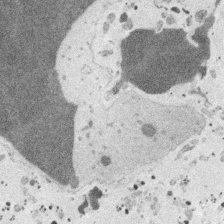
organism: Embia sp.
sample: Silk gland